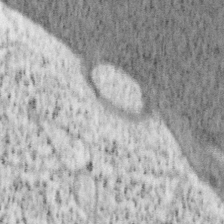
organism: Mouse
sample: OT-I killer T cells with ID8 ovarian cancer cells